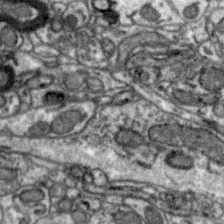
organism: Zebra finch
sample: Brain